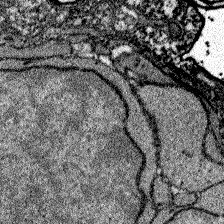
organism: Zebrafish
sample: Larval olfactory bulb